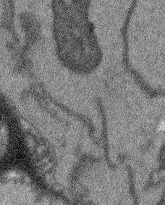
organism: Arabidopsis thaliana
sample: Root tip